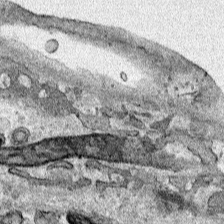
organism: Human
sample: Mitochondria in HCT116 cells